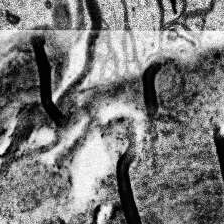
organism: Human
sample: Temporal Lobe